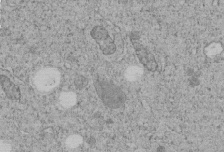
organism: C. elegans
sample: C. elegans embryo early stage